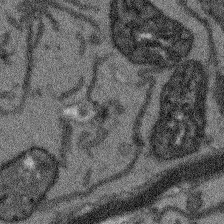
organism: Arabidopsis thaliana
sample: Root tip